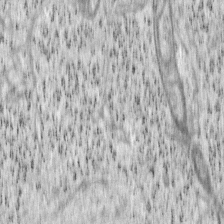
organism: Human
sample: HeLa cells